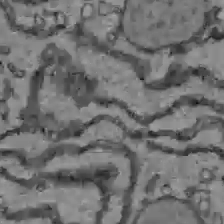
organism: C57BL Mouse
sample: Liver